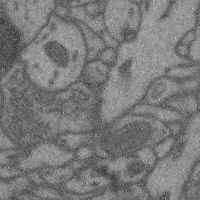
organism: Mouse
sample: Cerebral cortex